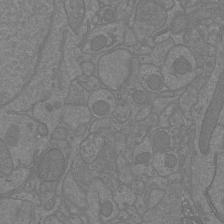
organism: Mouse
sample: Cortical neurons